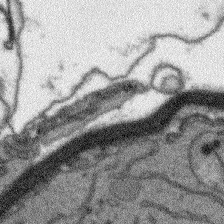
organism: Arabidopsis thaliana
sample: Root tip